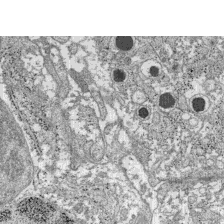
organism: C57BL Mouse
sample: Pancreatic islet